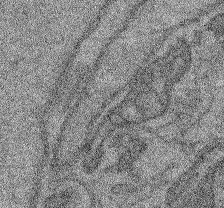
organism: Human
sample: HeLa cells